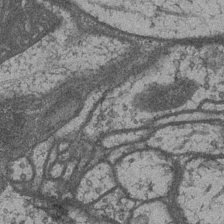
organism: Drosophila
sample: Optic medulla